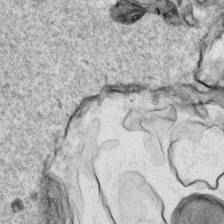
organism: Human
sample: Mitochondria in HCT116 cells